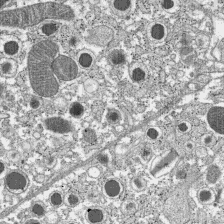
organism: C57BL Mouse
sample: Pancreatic islet